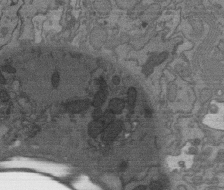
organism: C. elegans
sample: AFD neurons C. elegans